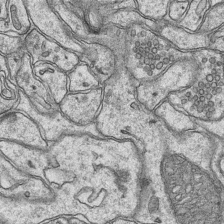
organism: Mouse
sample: CA1 Hippocampus